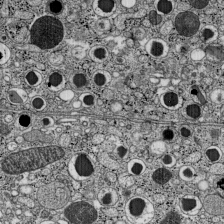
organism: C57BL Mouse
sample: Pancreatic islet